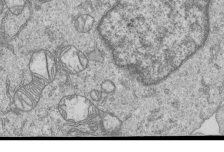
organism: Human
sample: MDA-MB-231 cells